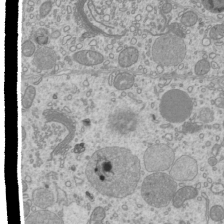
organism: Mouse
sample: Cilia; mouse epididymis